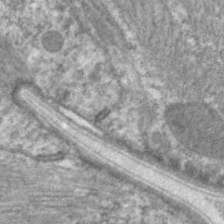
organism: C. elegans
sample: Pharynx